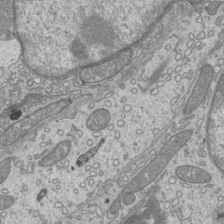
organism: Mouse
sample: Cilia; mouse epididymis